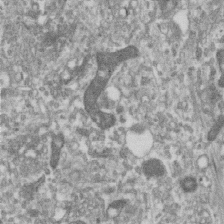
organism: Human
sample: Centriole in RPE cells